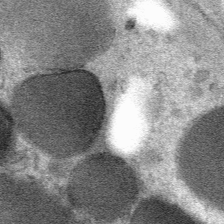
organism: Mouse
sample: Mouse Salivary gland